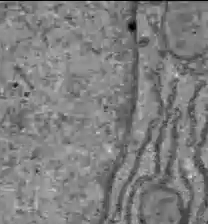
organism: C57BL Mouse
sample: Liver